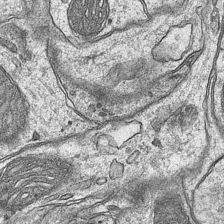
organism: Mouse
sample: CA1 Hippocampus